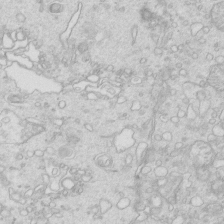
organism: Mouse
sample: Multiciliated cells